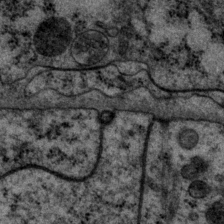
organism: P. pacificus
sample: Pharynx